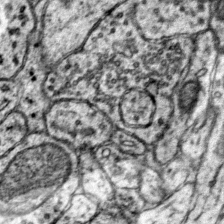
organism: Mouse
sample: Primary visual cortex